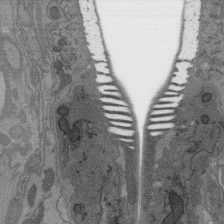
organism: C. elegans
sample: AFD neurons C. elegans